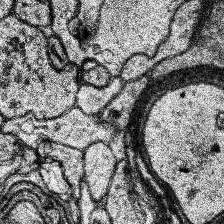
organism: Human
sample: Temporal Lobe